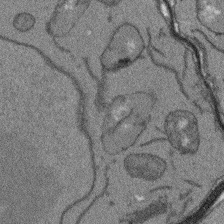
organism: Arabidopsis thaliana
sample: Root tip